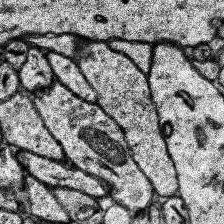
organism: Human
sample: Temporal Lobe